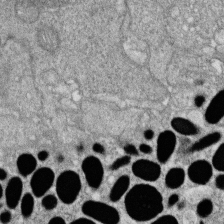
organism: Zebrafish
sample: Cilia; retinal pigment epithelium